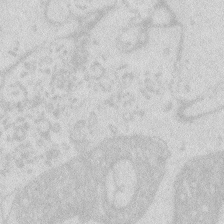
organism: Zebrafish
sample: Macrophage